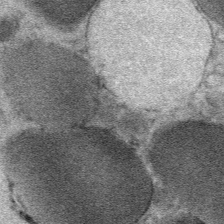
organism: Mouse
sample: Mouse Salivary gland